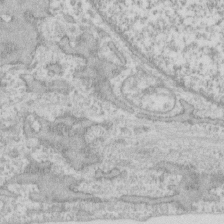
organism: Human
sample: Fibroblast cells